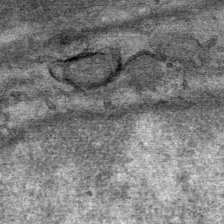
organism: Mouse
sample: Mouse Salivary gland